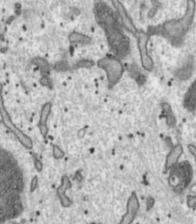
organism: Toxoplasma gondii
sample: Parasites in a vacuole inside a host cell